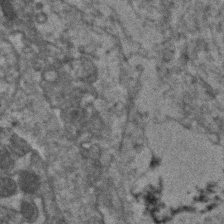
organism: Human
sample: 1205lu cells